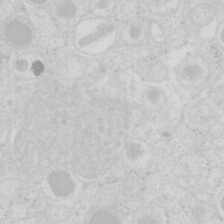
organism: Mouse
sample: Pancreas